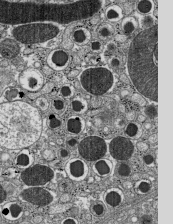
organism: C57BL Mouse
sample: Pancreatic islet